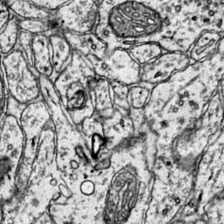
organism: Mouse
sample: Primary visual cortex